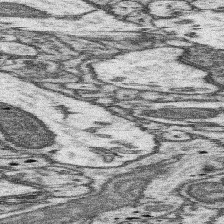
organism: Mouse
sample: Somatosensory cortex neuropil